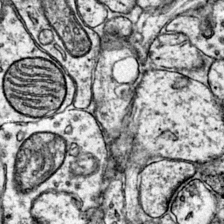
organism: Mouse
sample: Primary visual cortex